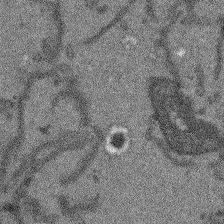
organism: Arabidopsis thaliana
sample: Root tip